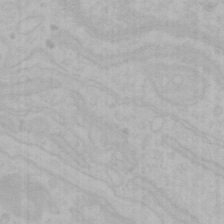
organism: Mouse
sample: Choroid plexus